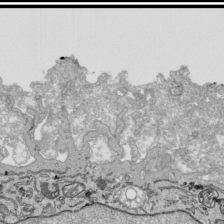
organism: Human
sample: Mitochondria in HCT116 cells